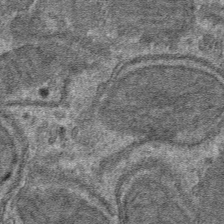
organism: Mouse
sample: Mouse hepatocytes